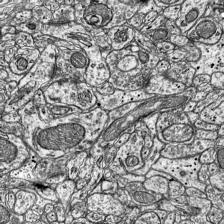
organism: Mouse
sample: Visual Cortex